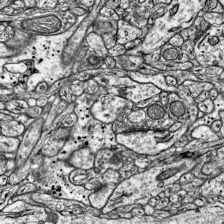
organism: Mouse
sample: Visual Cortex